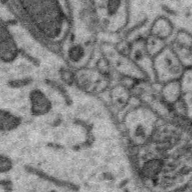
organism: Zebra finch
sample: Brain